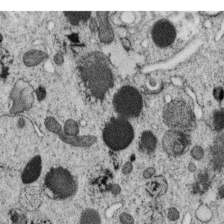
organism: C. elegans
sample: C. elegans oocyte; sperm cells